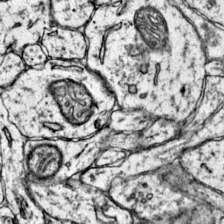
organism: Mouse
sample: Primary visual cortex